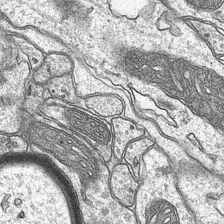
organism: Mouse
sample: CA1 Hippocampus